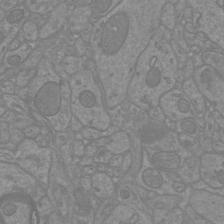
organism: Mouse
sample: Cortical neurons